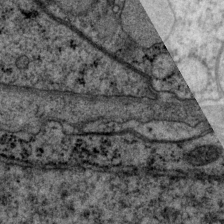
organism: P. pacificus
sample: Pharynx